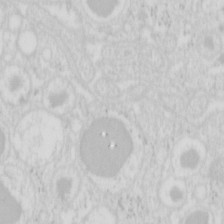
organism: Mouse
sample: Pancreas